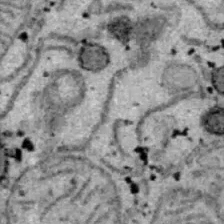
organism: Mouse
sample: Liver from an obese (ob/ob) mouse